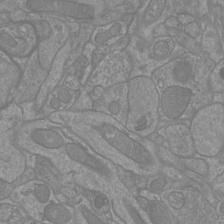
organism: Mouse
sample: Cortical neurons